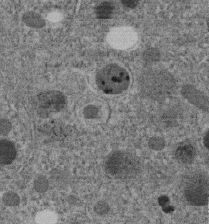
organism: C. elegans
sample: C. elegans embryo early stage